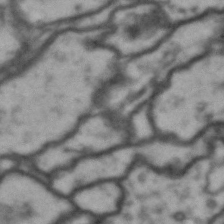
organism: Drosophila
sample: Brain